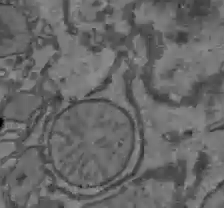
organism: C57BL Mouse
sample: Liver